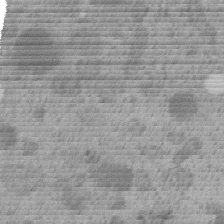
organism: C. elegans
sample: C. elegans embryo early stage